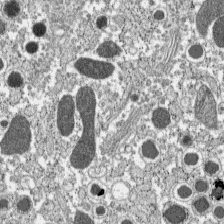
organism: C57BL Mouse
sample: Pancreatic islet